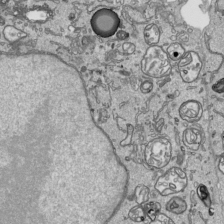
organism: Human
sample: Mitochondria in HCT116 cells